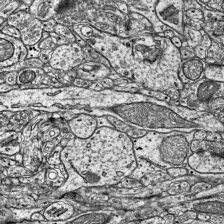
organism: Mouse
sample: Visual Cortex